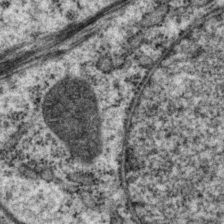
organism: P. pacificus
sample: Pharynx